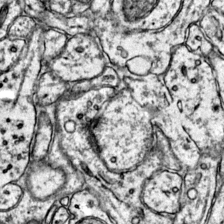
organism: Mouse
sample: Primary visual cortex